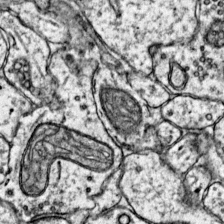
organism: Mouse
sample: Primary visual cortex